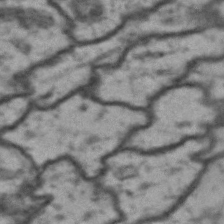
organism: Drosophila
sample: Brain